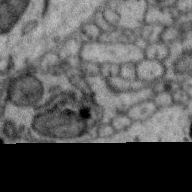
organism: Zebra finch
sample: Brain